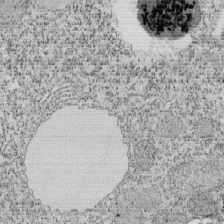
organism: Tetrahymena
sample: Cilia in tetrahymena